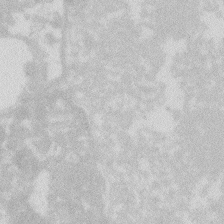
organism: Zebrafish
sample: Macrophage